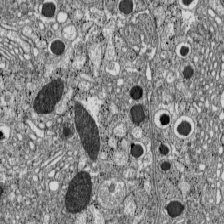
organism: C57BL Mouse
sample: Pancreatic islet